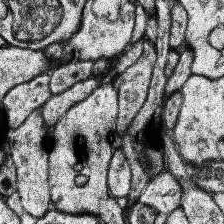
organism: Human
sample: Temporal Lobe